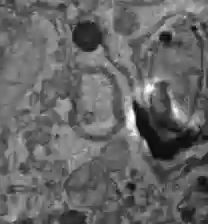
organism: C57BL Mouse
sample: Liver